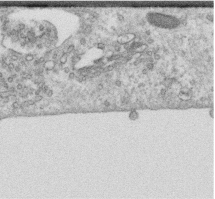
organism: Human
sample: Centriole in RPE cells